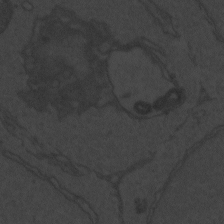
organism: Zebrafish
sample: Macrophage infected with Toxoplasma gondii